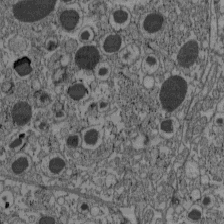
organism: C57BL Mouse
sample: Pancreatic islet